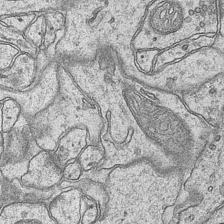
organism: Mouse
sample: CA1 Hippocampus